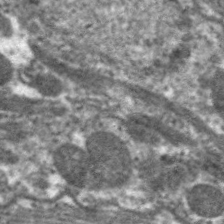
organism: C. elegans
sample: Pharynx